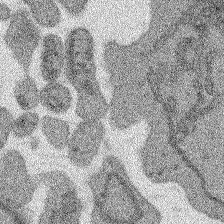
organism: Human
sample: HeLa cells